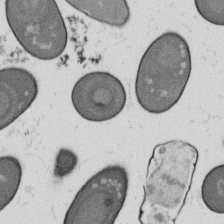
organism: B. subtilis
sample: Bacterial spore